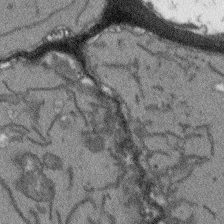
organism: Arabidopsis thaliana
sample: Root tip